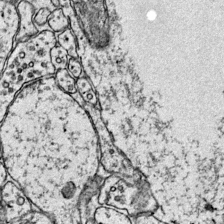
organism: Mouse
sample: Primary visual cortex